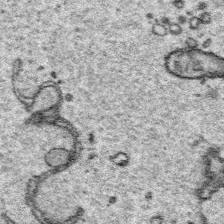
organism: Platynereis dumerilii